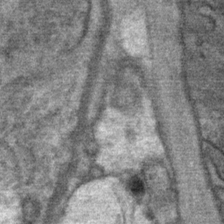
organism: Mouse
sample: Mouse Salivary gland